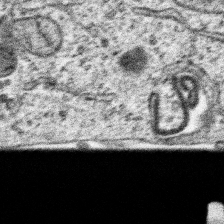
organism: Human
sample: HeLa cells